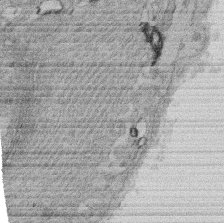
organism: Rat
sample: Salivary granule